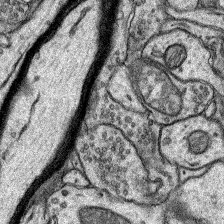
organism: Rat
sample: Hippocampus